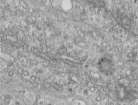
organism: Human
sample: Centriole in RPE cells